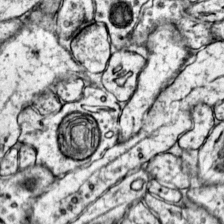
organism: Mouse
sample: Primary visual cortex